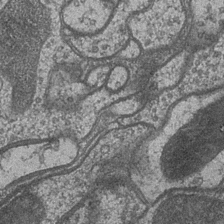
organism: Drosophila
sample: Optic medulla